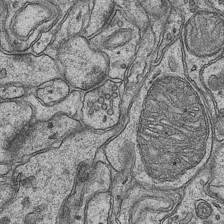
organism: Mouse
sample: CA1 Hippocampus